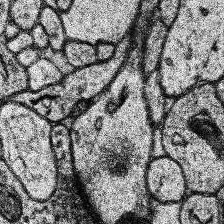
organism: Human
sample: Temporal Lobe